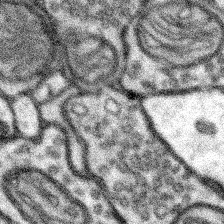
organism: Mouse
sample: Somatosensory cortex neuropil